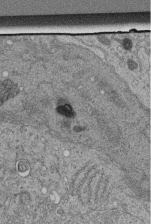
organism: Human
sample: Retinal organoid Rod and Cone cells